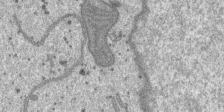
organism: Human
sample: Lung epithelial cells infected with SARS-CoV-2